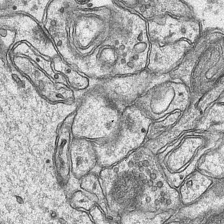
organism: Mouse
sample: CA1 Hippocampus